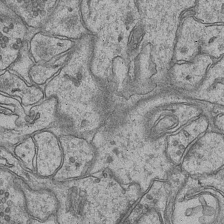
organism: Mouse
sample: CA1 Hippocampus